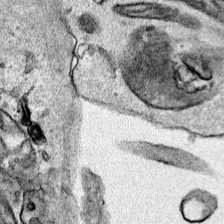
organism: Human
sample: Mitochondria in HCT116 cells